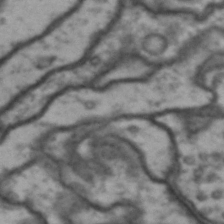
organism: Drosophila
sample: Brain